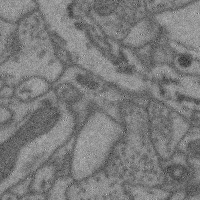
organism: Mouse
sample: Cerebral cortex